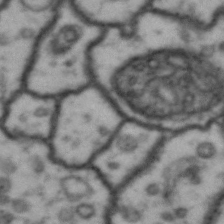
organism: Drosophila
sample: Brain